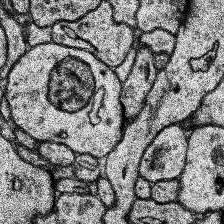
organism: Human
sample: Temporal Lobe